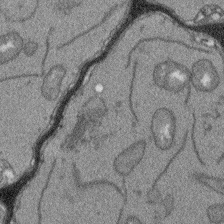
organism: Arabidopsis thaliana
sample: Root tip